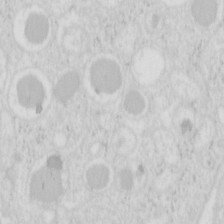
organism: Mouse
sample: Pancreas